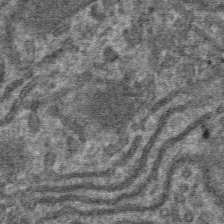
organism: Mouse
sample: Mouse hepatocytes